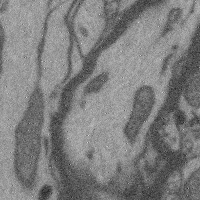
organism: Mouse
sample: Cerebral cortex